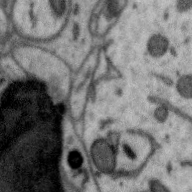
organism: Zebra finch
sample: Brain